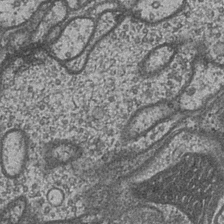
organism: Drosophila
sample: Optic medulla